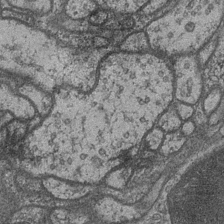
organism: Drosophila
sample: Optic medulla